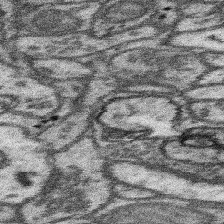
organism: Mouse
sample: Somatosensory cortex neuropil